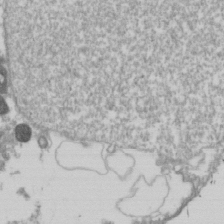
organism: Drosophila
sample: Cell division; meiosis; drosophila spermatocytes